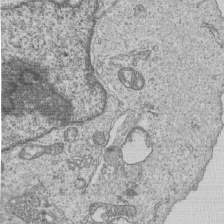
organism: Human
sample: MDA-MB-231 cells